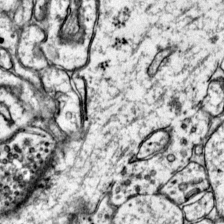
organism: Mouse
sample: Primary visual cortex